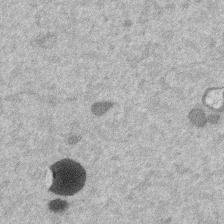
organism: Mouse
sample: Dividing mouse embryo 1 cell stage